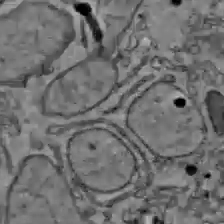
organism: C57BL Mouse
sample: Liver